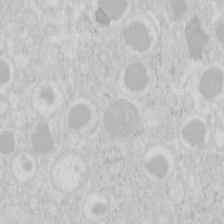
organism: Mouse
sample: Pancreas